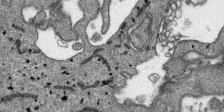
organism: Human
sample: Lung epithelial cells, uninfected (mock) control